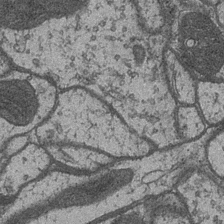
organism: Drosophila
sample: Optic medulla